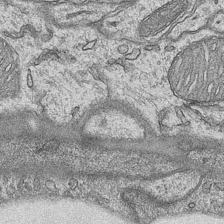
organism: Mouse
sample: CA1 Hippocampus